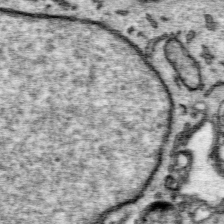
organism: Human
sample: HeLa cells